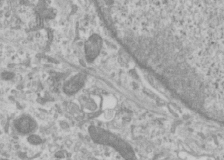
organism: Human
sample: Cilia; basal body in RPE cells